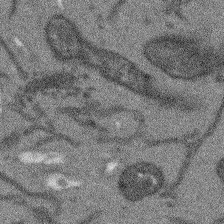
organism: Arabidopsis thaliana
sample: Root tip